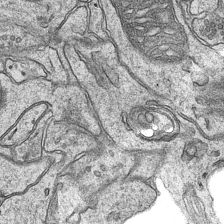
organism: Mouse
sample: CA1 Hippocampus